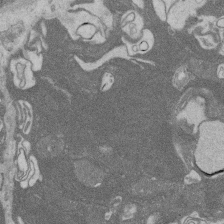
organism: Rat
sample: Salivary granule